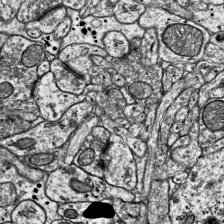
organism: Mouse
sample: Visual Cortex